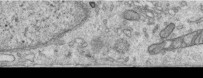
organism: Human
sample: Centriole in RPE cells